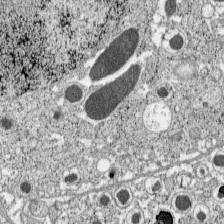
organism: C57BL Mouse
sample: Pancreatic islet